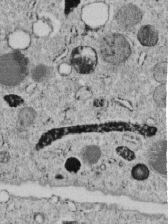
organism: C. elegans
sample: C. elegans embryo early stage